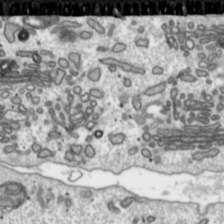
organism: Toxoplasma gondii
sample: Parasites in a vacuole inside a host cell